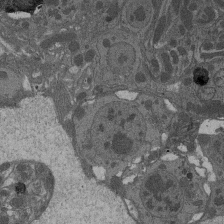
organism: Drosophila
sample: Antenna